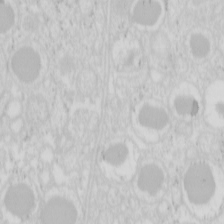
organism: Mouse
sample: Pancreas